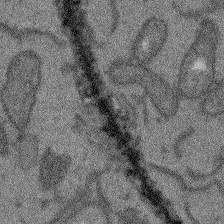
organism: Arabidopsis thaliana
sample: Root tip